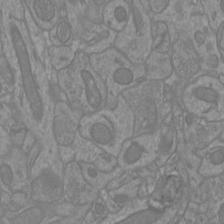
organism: Mouse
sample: Cortical neurons